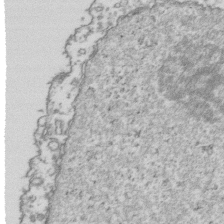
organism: Human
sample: Activated Jurkat CD4+ T cells